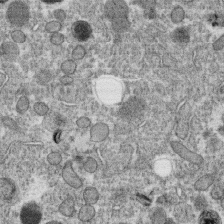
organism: C. elegans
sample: C. elegans oocyte; sperm cells